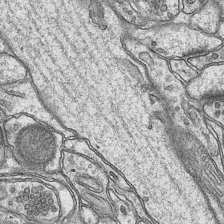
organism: Mouse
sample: CA1 Hippocampus